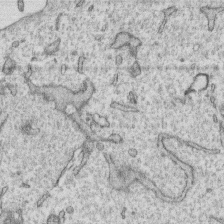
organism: Human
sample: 1205lu cells